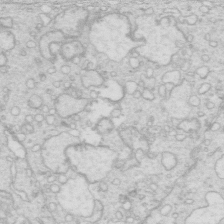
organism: Mouse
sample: Multiciliated cells